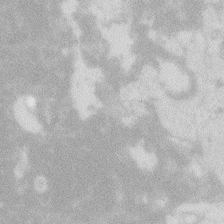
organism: Zebrafish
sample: Macrophage